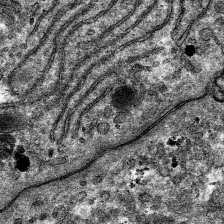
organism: Mouse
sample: Mouse hepatocytes